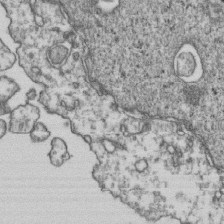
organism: Human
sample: Activated Jurkat CD4+ T cells